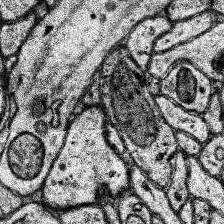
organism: Human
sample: Temporal Lobe